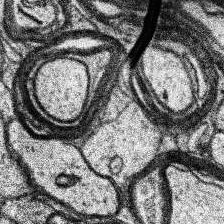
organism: Human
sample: Temporal Lobe